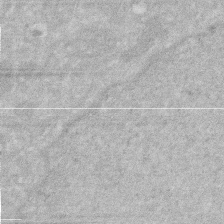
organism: Human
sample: HIV infected U937 cells